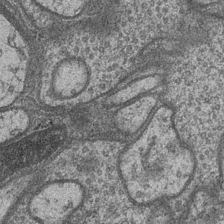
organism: Drosophila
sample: Optic medulla